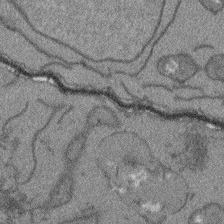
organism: Arabidopsis thaliana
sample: Root tip